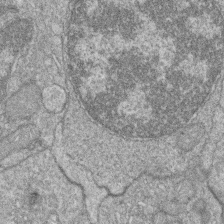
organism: Zebrafish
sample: Cilia; retinal pigment epithelium